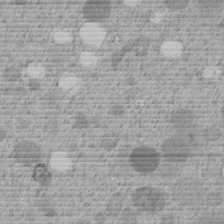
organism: C. elegans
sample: C. elegans embryo early stage